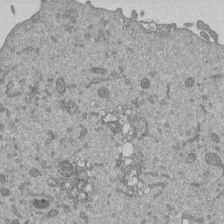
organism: Mouse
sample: ED-1 cell nuclei; centrioles